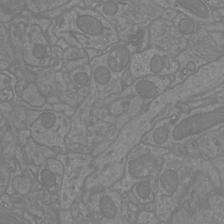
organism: Mouse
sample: Cortical neurons